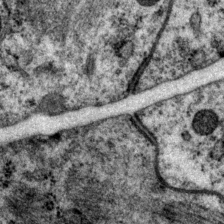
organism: P. pacificus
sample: Pharynx